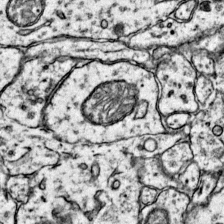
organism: Mouse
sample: Primary visual cortex